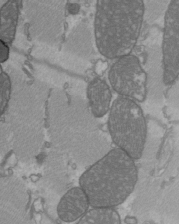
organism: C57BL Mouse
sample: Heart